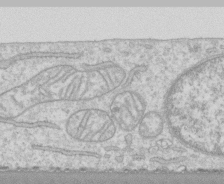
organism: Human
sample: CRL-1474